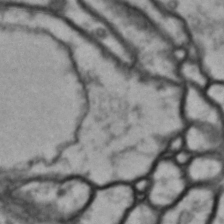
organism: Drosophila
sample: Brain